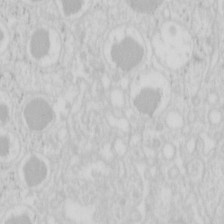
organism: Mouse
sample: Pancreas